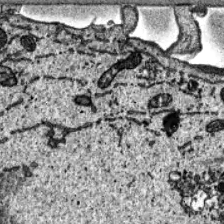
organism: Human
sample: HeLa cells